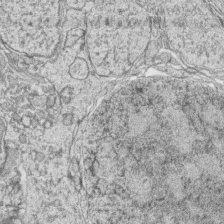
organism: Zebrafish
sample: synaptic ribbons in rod cells and cone cells